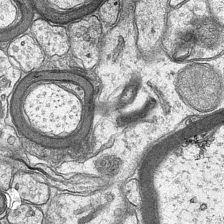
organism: Mouse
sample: CA1 Hippocampus